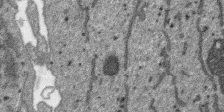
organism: Human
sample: Lung epithelial cells infected with SARS-CoV-2